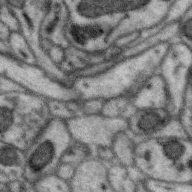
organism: Zebra finch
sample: Brain